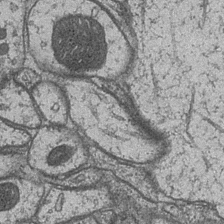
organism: Drosophila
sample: Optic medulla